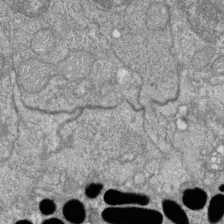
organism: Zebrafish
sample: Cilia; retinal pigment epithelium